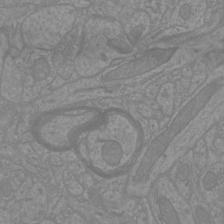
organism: Mouse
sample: Cortical neurons